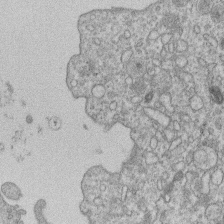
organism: Human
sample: Macrophage cells